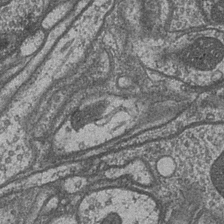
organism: Drosophila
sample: Optic medulla